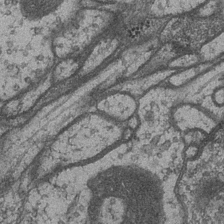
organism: Drosophila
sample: Optic medulla